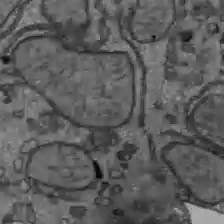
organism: C57BL Mouse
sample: Liver